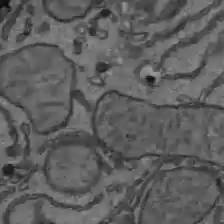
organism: C57BL Mouse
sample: Liver